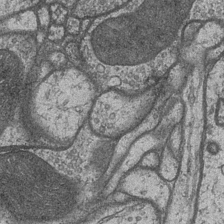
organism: Drosophila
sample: Optic medulla